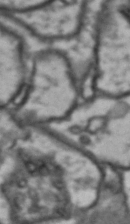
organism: Drosophila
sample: Brain